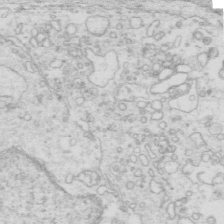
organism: Mouse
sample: Multiciliated cells